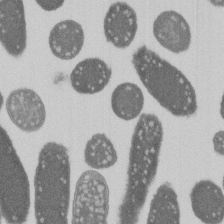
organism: E. coli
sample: Bacterial nucleoid